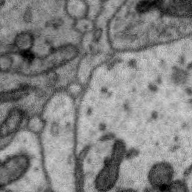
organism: Zebra finch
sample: Brain